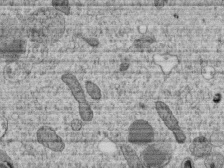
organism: C. elegans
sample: C. elegans embryo early stage